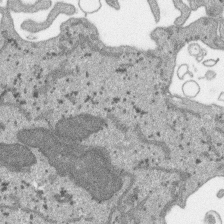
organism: Human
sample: Lung epithelial cells infected with SARS-CoV-2